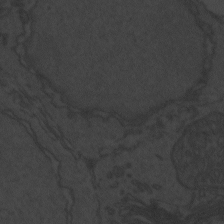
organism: Zebrafish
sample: Macrophage infected with Toxoplasma gondii